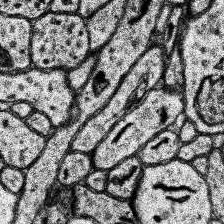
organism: Human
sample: Temporal Lobe